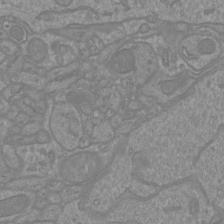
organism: Mouse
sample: Cortical neurons